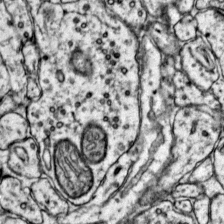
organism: Mouse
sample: Primary visual cortex